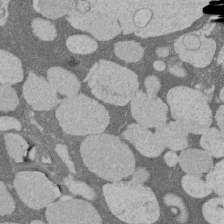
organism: Rat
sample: Salivary granule